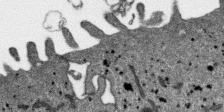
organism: Human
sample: Lung epithelial cells, uninfected (mock) control